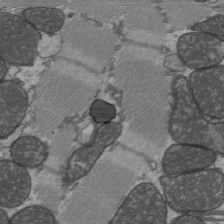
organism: C57BL Mouse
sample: Heart